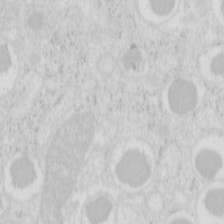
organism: Mouse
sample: Pancreas